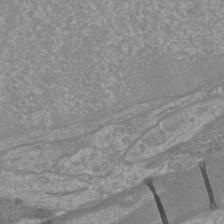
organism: Mouse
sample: Cortical neurons